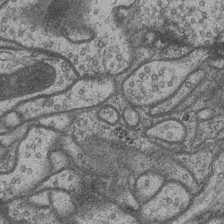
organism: Drosophila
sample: Optic medulla